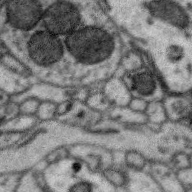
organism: Zebra finch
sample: Brain